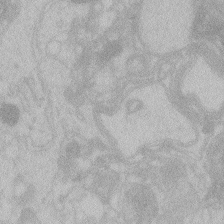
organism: Zebrafish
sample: Macrophage infected with Toxoplasma gondii